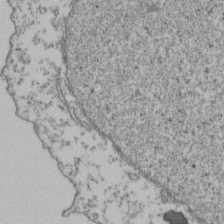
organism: Human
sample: Activated Jurkat CD4+ T cells